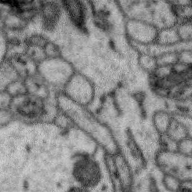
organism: Zebra finch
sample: Brain